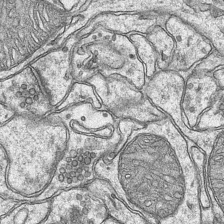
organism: Mouse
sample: CA1 Hippocampus